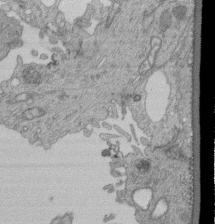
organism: Human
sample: Retinal organoid Rod and Cone cells